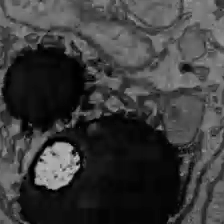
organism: C57BL Mouse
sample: Liver